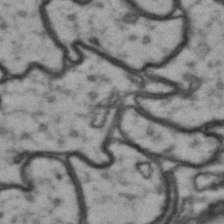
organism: Drosophila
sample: Brain